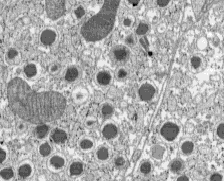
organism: C57BL Mouse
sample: Pancreatic islet